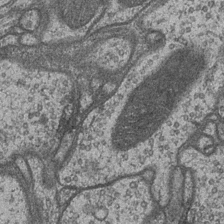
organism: Drosophila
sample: Optic medulla